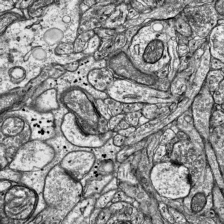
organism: Mouse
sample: Visual Cortex